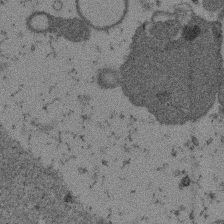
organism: Mouse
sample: Dividing mouse embryo 1 cell stage